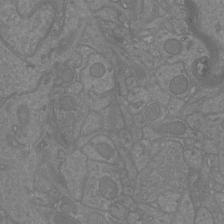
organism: Mouse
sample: Cortical neurons